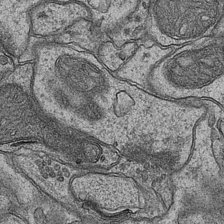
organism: Mouse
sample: CA1 Hippocampus